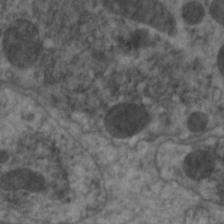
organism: C. elegans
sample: Pharynx